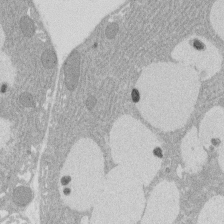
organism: Rat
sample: Salivary granule